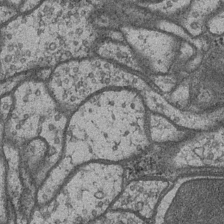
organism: Drosophila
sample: Optic medulla